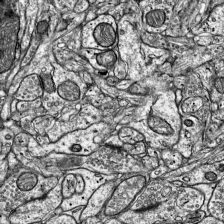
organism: Mouse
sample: Visual Cortex